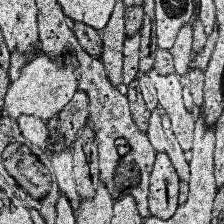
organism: Human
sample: Temporal Lobe